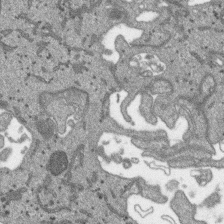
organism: Human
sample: Lung epithelial cells infected with SARS-CoV-2